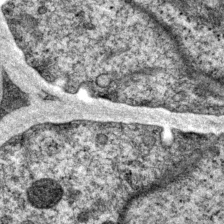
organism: P. pacificus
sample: Pharynx